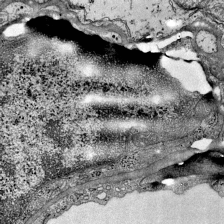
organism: Mouse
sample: Visual Cortex